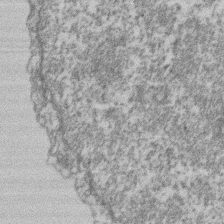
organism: Mouse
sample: T cell stromal cell synapse